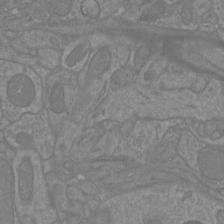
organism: Mouse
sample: Cortical neurons